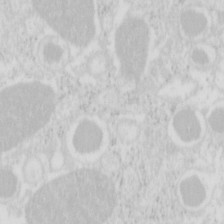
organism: Mouse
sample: Pancreas